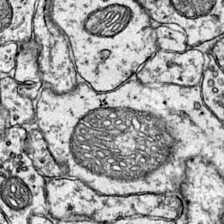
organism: Mouse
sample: Primary visual cortex